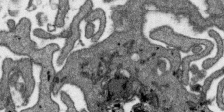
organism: Human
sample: Lung epithelial cells, uninfected (mock) control